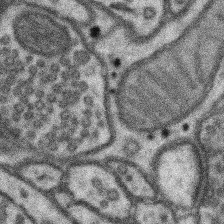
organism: Mouse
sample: Somatosensory cortex neuropil